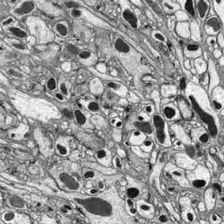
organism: Drosophila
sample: Optic lobe